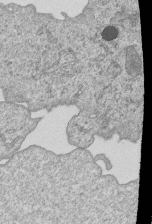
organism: Human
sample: MDA-MB-231 cells